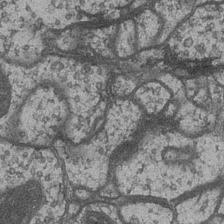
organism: Drosophila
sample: Optic medulla